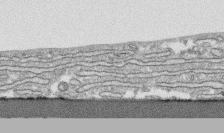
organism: Human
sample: CRL-1474